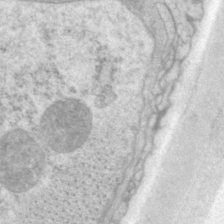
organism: P. pacificus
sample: Pharynx